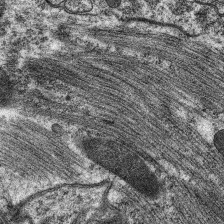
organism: C. elegans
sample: Pharynx